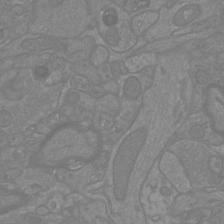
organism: Mouse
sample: Cortical neurons